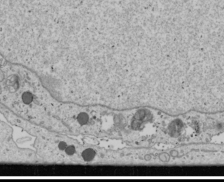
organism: Human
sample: Mitochondria in U2OS cells